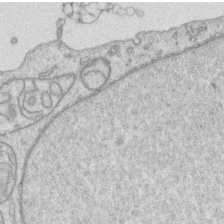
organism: Human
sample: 1205lu cells